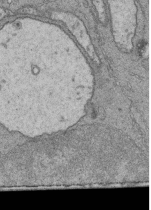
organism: Human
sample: Retinal organoid Rod and Cone cells